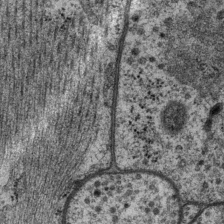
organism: P. pacificus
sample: Pharynx